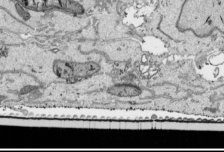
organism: Human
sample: Mitochondria in HCT116 cells